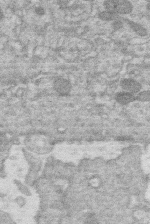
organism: Human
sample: Macrophage cells